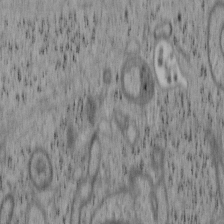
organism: Human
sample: HeLa cells